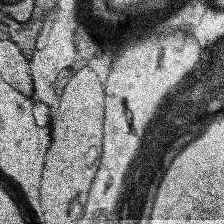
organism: Human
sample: Temporal Lobe